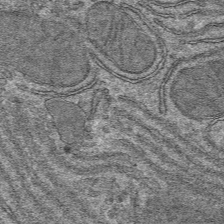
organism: Mouse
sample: Mouse hepatocytes